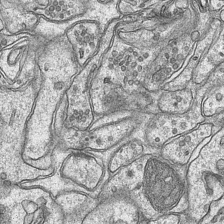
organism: Mouse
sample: CA1 Hippocampus